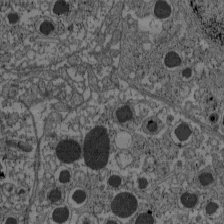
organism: C57BL Mouse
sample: Pancreatic islet